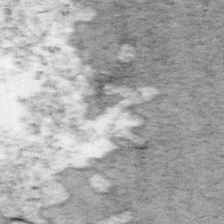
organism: Mouse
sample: OT-I killer T cells with ID8 ovarian cancer cells